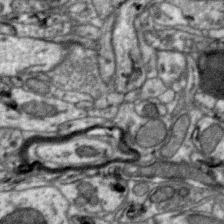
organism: Zebra finch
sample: Brain